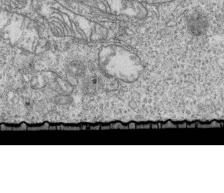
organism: Human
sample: HeLa cell HIV synapse